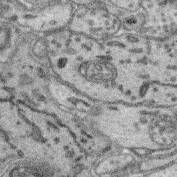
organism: Mouse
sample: Retina